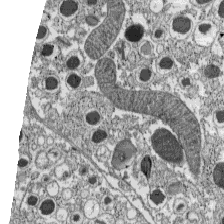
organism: C57BL Mouse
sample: Pancreatic islet